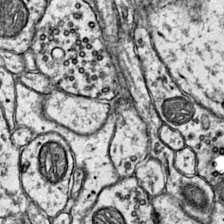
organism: Mouse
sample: Primary visual cortex